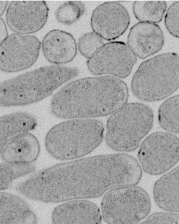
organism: E. coli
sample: Bacterial nucleoid